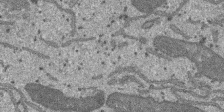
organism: Human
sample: Lung epithelial cells infected with SARS-CoV-2